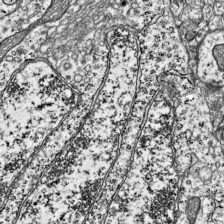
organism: Mouse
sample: Visual Cortex